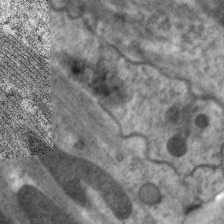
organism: C. elegans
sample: Pharynx